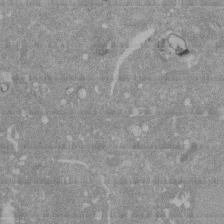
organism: Mouse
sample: ED-1 cell nuclei; centrioles